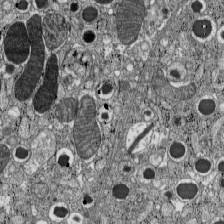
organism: C57BL Mouse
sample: Pancreatic islet